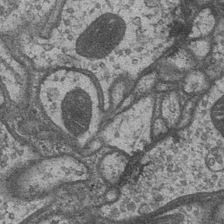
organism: Drosophila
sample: Optic medulla